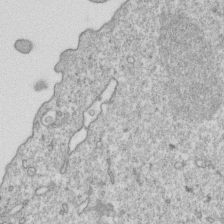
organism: Mouse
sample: Activated OT-1 CD8+ T cells